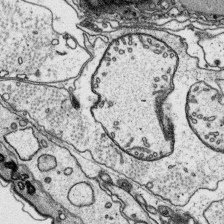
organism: Platynereis dumerilii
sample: Parapodia